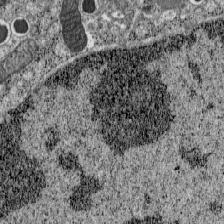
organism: C57BL Mouse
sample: Pancreatic islet